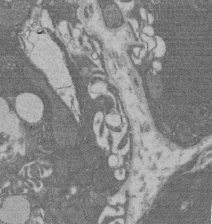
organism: Rat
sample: Salivary granule